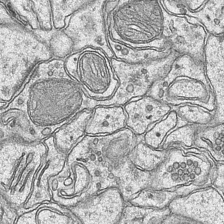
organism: Mouse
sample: CA1 Hippocampus